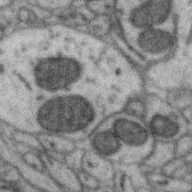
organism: Zebra finch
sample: Brain